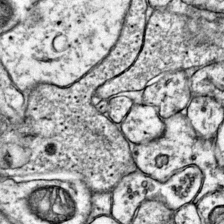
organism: Mouse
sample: Primary visual cortex